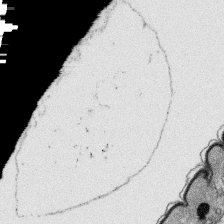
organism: Platynereis dumerilii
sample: Parapodia